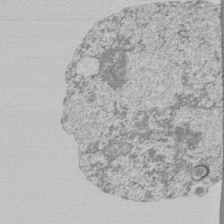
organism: Mouse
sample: Activated Pmel transgenic CD8+ T Cells